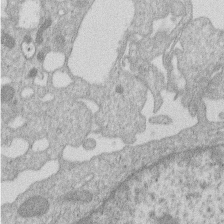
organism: Human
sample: Macrophage cells